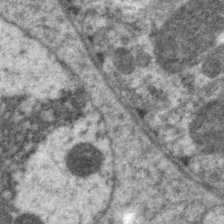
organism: C. elegans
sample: Pharynx